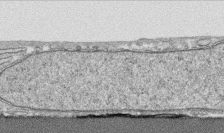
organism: Human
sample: CRL-1474